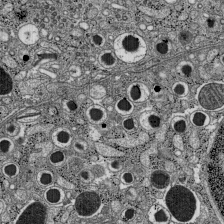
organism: C57BL Mouse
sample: Pancreatic islet